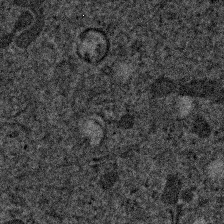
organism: Human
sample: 1205lu cells